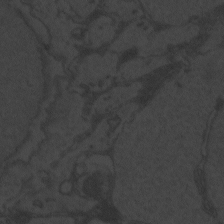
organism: Zebrafish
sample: Macrophage infected with Toxoplasma gondii